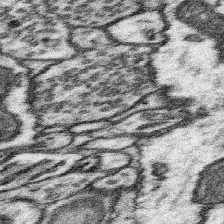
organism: Mouse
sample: Somatosensory cortex neuropil